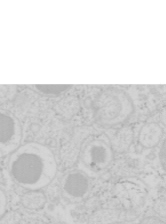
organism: Mouse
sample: Pancreas